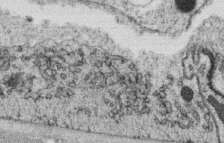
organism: C. elegans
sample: C. elegans oocyte; sperm cells